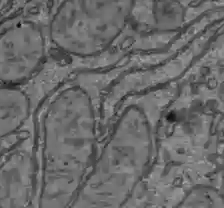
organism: C57BL Mouse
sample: Liver